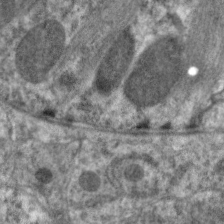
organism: C. elegans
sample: Pharynx